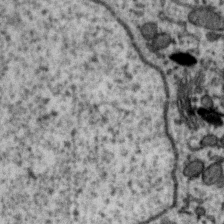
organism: Zebra finch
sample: Brain